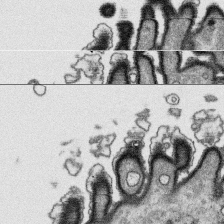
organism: Platynereis dumerilii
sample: Parapodia